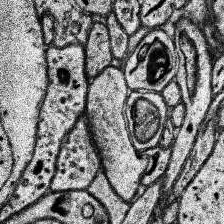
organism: Human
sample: Temporal Lobe